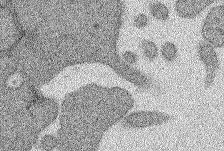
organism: Human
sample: HeLa cells